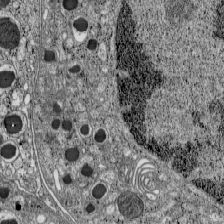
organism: C57BL Mouse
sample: Pancreatic islet